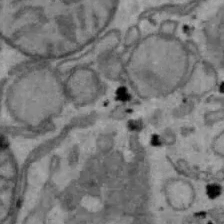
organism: Mouse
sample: Liver